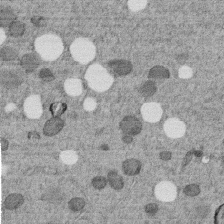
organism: C. elegans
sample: C. elegans embryo early stage